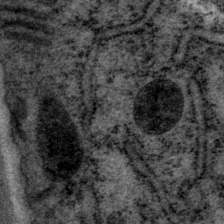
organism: P. pacificus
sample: Pharynx